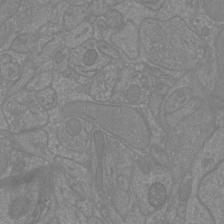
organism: Mouse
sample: Cortical neurons